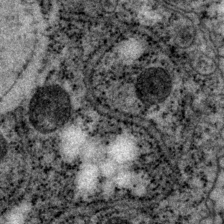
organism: P. pacificus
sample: Pharynx